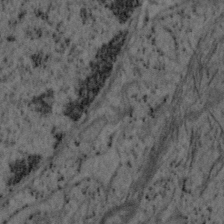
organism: Human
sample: HeLa cells